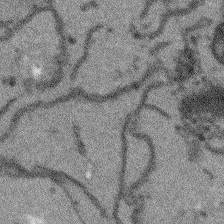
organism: Arabidopsis thaliana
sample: Root tip